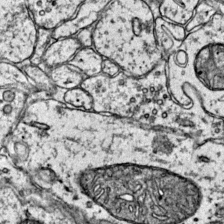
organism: Mouse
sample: Primary visual cortex